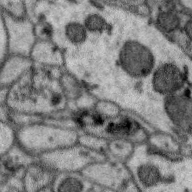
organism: Zebra finch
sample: Brain